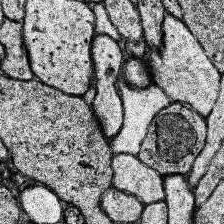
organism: Human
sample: Temporal Lobe